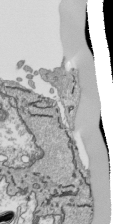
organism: Human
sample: Mitochondria in HCT116 cells